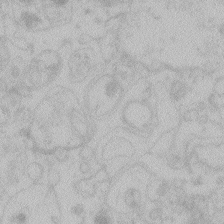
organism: Zebrafish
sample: Macrophage infected with Toxoplasma gondii